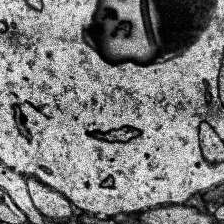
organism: Human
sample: Temporal Lobe